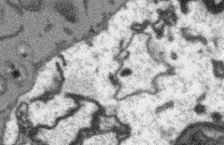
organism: Arabidopsis thaliana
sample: Root tip